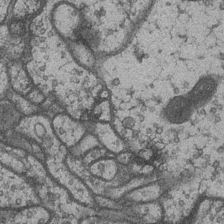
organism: Drosophila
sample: Optic medulla